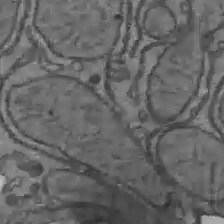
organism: C57BL Mouse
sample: Liver